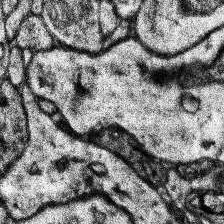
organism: Human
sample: Temporal Lobe